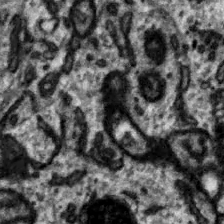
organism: Human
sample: HeLa cells